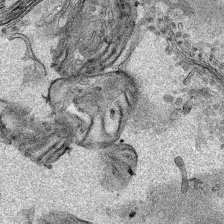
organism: Human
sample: Mitochondria in HCT116 cells